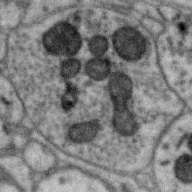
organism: Zebra finch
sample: Brain